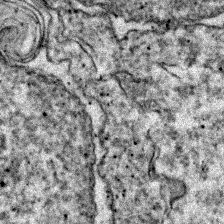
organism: Zebrafish